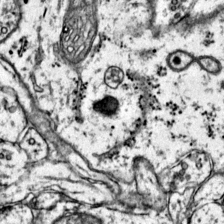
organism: Mouse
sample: Primary visual cortex